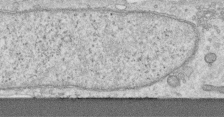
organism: Human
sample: Centriole in RPE cells